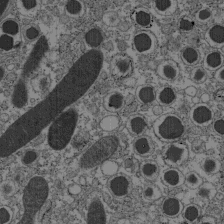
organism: C57BL Mouse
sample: Pancreatic islet